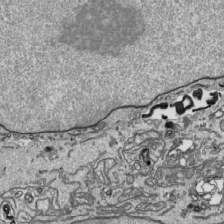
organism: Human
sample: Mitochondria in HCT116 cells